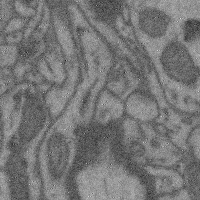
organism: Mouse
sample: Cerebral cortex